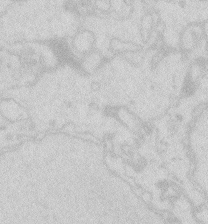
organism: Zebrafish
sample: Macrophage